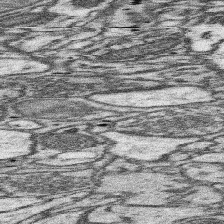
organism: Mouse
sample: Somatosensory cortex neuropil